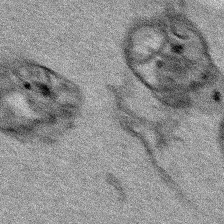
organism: Human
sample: Mitochondria in HCT116 cells